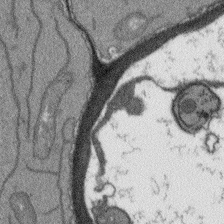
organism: Arabidopsis thaliana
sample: Root tip